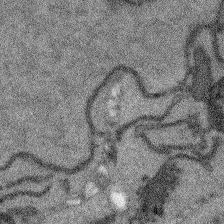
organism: Arabidopsis thaliana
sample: Root tip